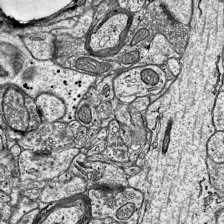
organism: Mouse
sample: Visual Cortex